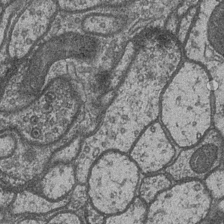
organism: Drosophila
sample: Optic medulla